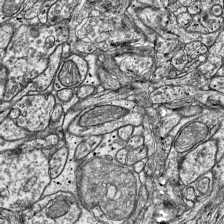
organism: Mouse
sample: Visual Cortex